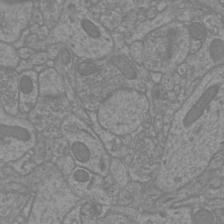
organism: Mouse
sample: Cortical neurons